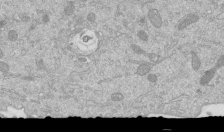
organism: Mouse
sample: ED-1 cell nuclei; centrioles